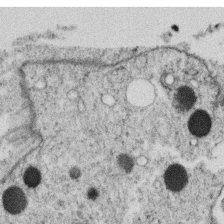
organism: C. elegans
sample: C. elegans oocyte; sperm cells